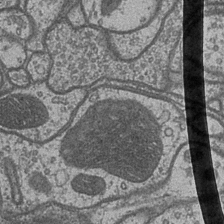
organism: Drosophila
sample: Optic medulla